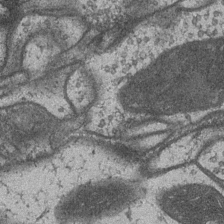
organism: Drosophila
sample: Optic medulla